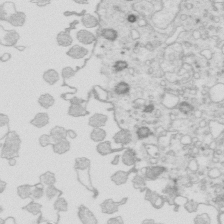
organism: Mouse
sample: Multiciliated cells